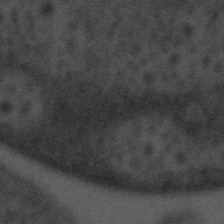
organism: Tuwongella immobilis